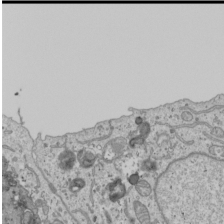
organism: Human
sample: Mitochondria in U2OS cells